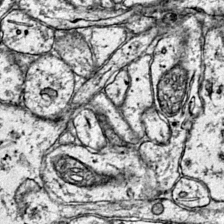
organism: Mouse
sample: Primary visual cortex